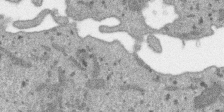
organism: Human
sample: Lung epithelial cells infected with SARS-CoV-2